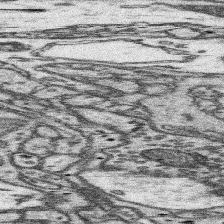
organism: Mouse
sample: Somatosensory cortex neuropil